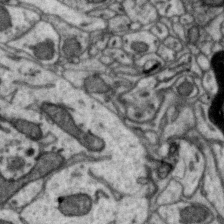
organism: Zebra finch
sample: Brain